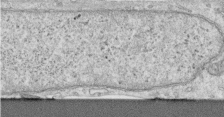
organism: Human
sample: Centriole in RPE cells